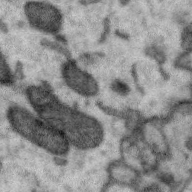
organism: Zebra finch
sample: Brain